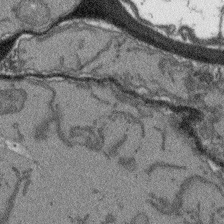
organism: Arabidopsis thaliana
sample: Root tip